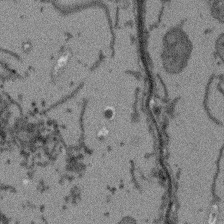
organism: Arabidopsis thaliana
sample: Root tip